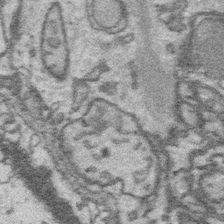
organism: Platynereis dumerilii